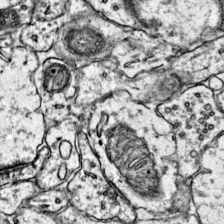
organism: Mouse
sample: Primary visual cortex